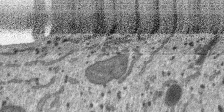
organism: Human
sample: Lung epithelial cells infected with SARS-CoV-2